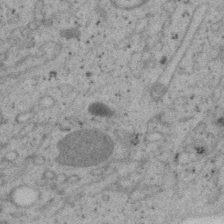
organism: Human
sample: HeLa cells